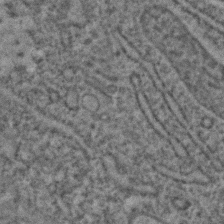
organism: C. elegans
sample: C. elegans embryo